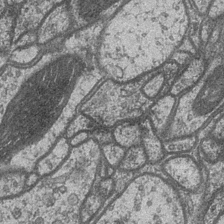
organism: Drosophila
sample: Optic medulla